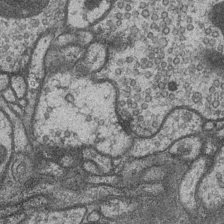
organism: Drosophila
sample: Optic medulla